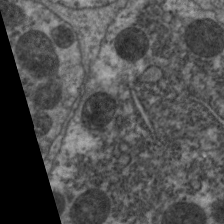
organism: C. elegans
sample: Pharynx